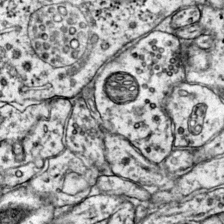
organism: Mouse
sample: Primary visual cortex